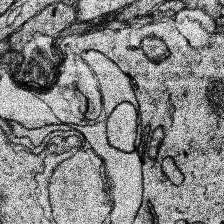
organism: Human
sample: Temporal Lobe